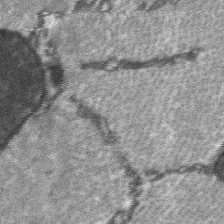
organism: C57BL Mouse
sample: Soleus